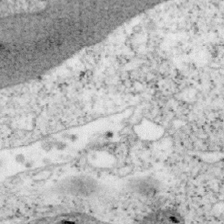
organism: Mouse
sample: OT-I killer T cells with ID8 ovarian cancer cells